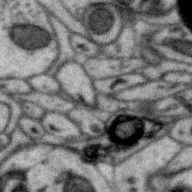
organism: Zebra finch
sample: Brain